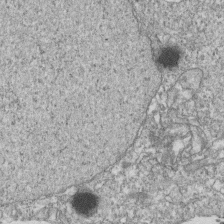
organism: Human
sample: HeLa cell HIV synapse